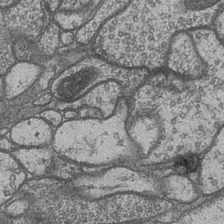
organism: Drosophila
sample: Optic medulla